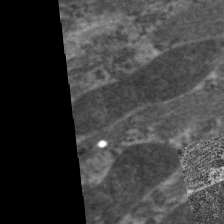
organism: C. elegans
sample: Pharynx